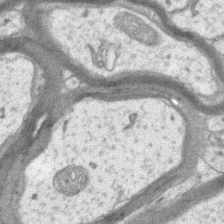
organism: Mouse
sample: CA1 Hippocampus